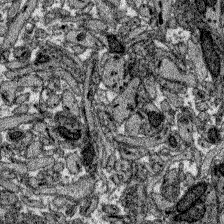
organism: Zebrafish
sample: Larval olfactory bulb